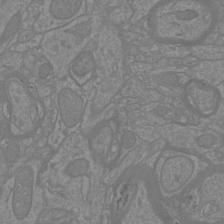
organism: Mouse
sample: Cortical neurons